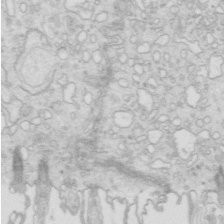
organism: Mouse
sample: Multiciliated cells